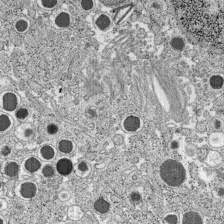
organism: C57BL Mouse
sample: Pancreatic islet